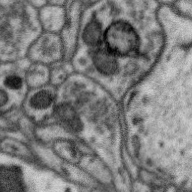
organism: Zebra finch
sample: Brain